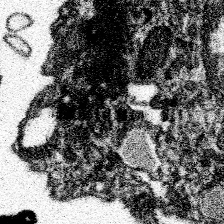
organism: Spongilla lacustris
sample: Neuroid cell